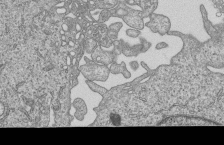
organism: Human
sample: MDA-MB-231 cells